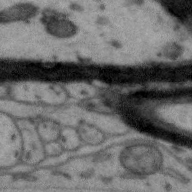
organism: Zebra finch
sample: Brain